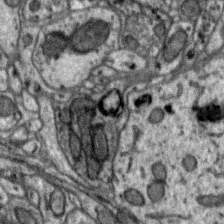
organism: Zebra finch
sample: Brain